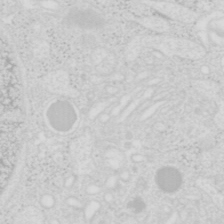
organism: Mouse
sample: Pancreas